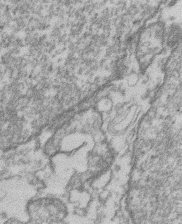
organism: Mouse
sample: T cell stromal cell synapse